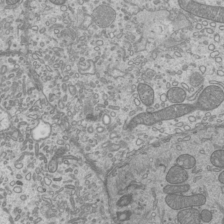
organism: Mouse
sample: Cilia; mouse epididymis